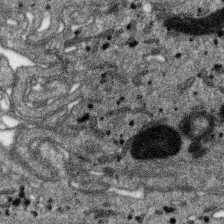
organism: Human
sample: Lung epithelial cells infected with SARS-CoV-2